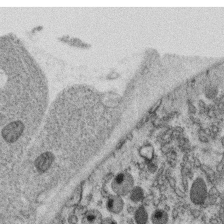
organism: C. elegans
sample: C. elegans oocyte; sperm cells